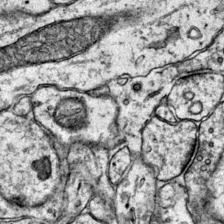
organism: Mouse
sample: Primary visual cortex